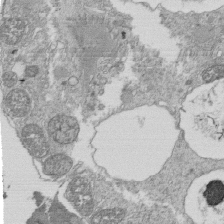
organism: Tetrahymena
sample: Cilia in tetrahymena